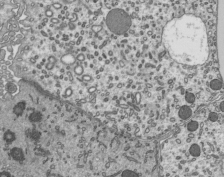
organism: Mouse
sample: Mouse epididymis efferent ductule cilia